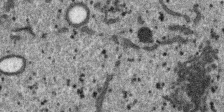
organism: Human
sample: Lung epithelial cells infected with SARS-CoV-2